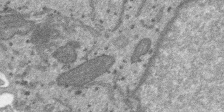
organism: Human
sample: Lung epithelial cells infected with SARS-CoV-2